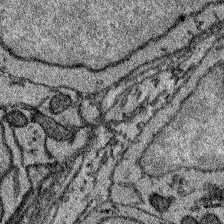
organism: Zebrafish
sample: Larval olfactory bulb